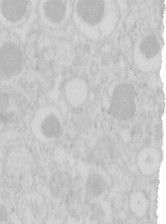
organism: Mouse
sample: Pancreas